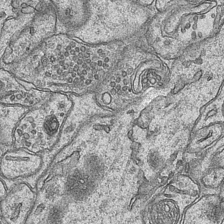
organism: Mouse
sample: CA1 Hippocampus